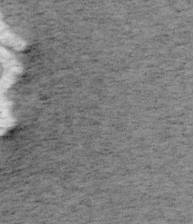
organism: Mouse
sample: OT-I killer T cells with ID8 ovarian cancer cells